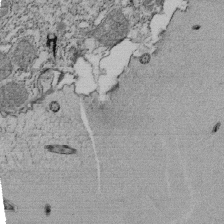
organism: Tetrahymena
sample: Cilia in tetrahymena